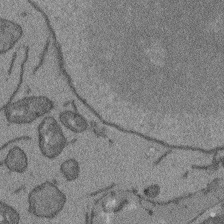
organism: Arabidopsis thaliana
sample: Root tip